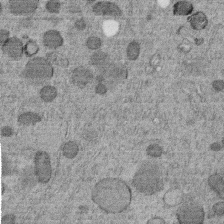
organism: C. elegans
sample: C. elegans embryo early stage